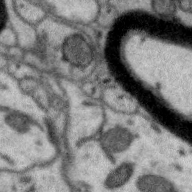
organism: Zebra finch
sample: Brain